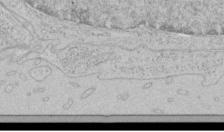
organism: Human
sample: Mitochondria in HCT116 cells